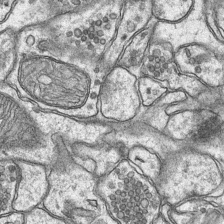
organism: Mouse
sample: CA1 Hippocampus